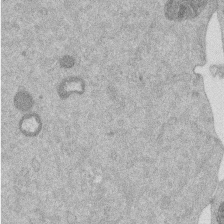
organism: Mouse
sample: Dividing mouse embryo 1 cell stage